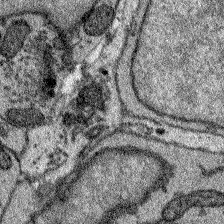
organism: Zebrafish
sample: Larval olfactory bulb